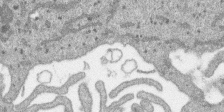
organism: Human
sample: Lung epithelial cells infected with SARS-CoV-2